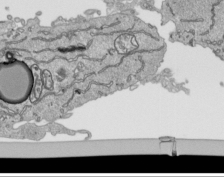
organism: Human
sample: Mitochondria in HCT116 cells